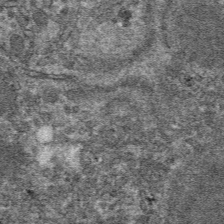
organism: Mouse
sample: Mouse hepatocytes